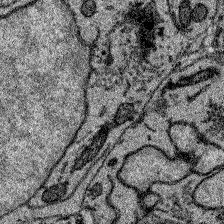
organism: Zebrafish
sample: Larval olfactory bulb